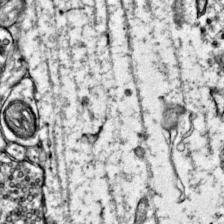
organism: Mouse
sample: Primary visual cortex